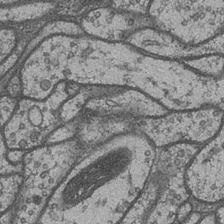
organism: Drosophila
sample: Optic medulla